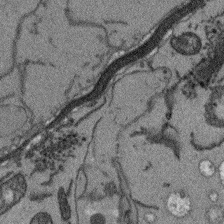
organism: Arabidopsis thaliana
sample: Root tip